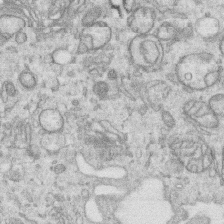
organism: Human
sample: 1205lu cells